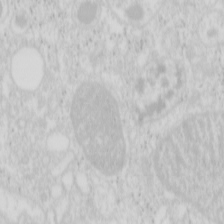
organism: Mouse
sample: Pancreas